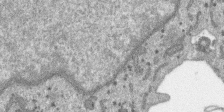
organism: Human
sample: Lung epithelial cells infected with SARS-CoV-2